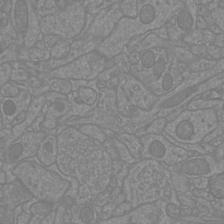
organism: Mouse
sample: Cortical neurons